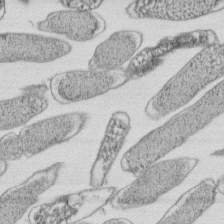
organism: E. coli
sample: Bacterial nucleoid